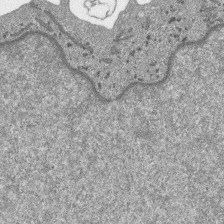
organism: Human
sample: Lung epithelial cells infected with SARS-CoV-2